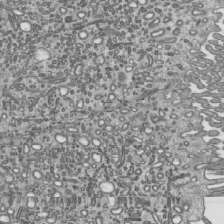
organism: Mouse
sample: Mouse epididymis efferent ductule cilia